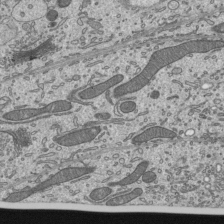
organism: Mouse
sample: Mouse epididymis efferent ductule cilia